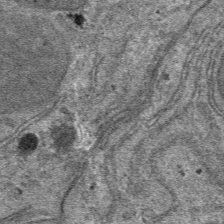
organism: Mouse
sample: Mouse hepatocytes